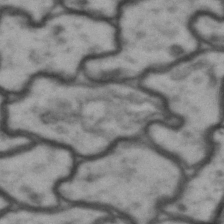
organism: Drosophila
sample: Brain